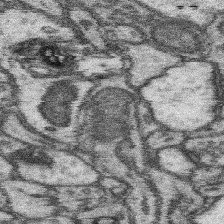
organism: Mouse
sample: Somatosensory cortex neuropil